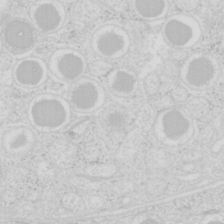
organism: Mouse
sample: Pancreas